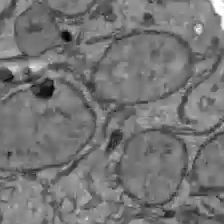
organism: C57BL Mouse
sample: Liver